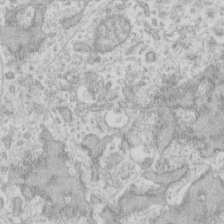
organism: Human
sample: Fibroblast cells